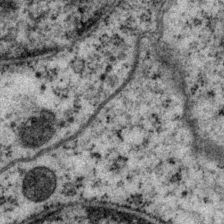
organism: P. pacificus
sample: Pharynx